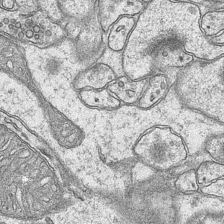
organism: Mouse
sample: CA1 Hippocampus